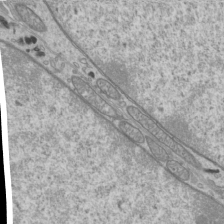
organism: Mouse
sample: Cilia; mouse epididymis